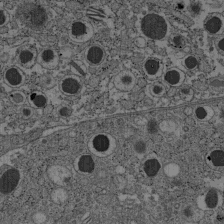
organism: C57BL Mouse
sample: Pancreatic islet